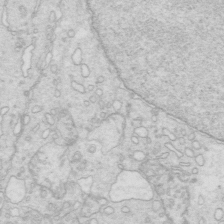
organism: Mouse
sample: Multiciliated cells